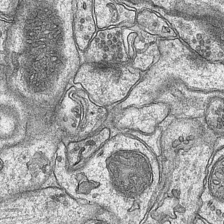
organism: Mouse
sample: CA1 Hippocampus